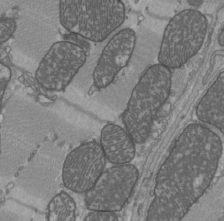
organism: C57BL Mouse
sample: Heart